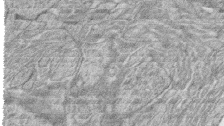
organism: Zebrafish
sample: synaptic ribbons in rod cells and cone cells